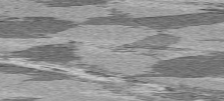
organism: C57BL Mouse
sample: Heart